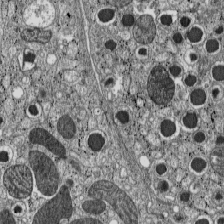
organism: C57BL Mouse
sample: Pancreatic islet